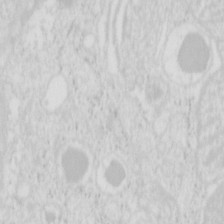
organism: Mouse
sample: Pancreas